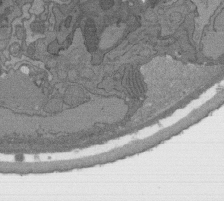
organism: C. elegans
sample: AFD neurons C. elegans